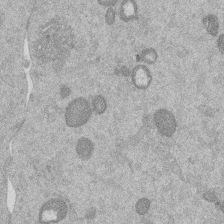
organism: Mouse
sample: Dividing mouse embryo 1 cell stage